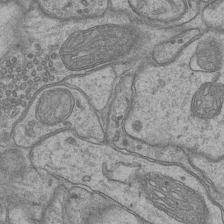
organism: Mouse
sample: CA1 Hippocampus